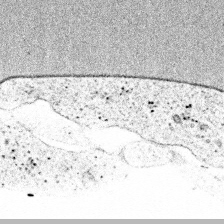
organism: Human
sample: HeLa cells